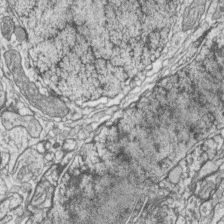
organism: Zebrafish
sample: synaptic ribbons in rod cells and cone cells